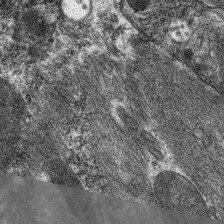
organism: C. elegans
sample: Pharynx